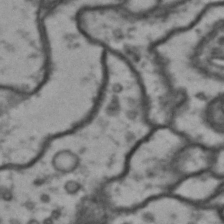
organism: Drosophila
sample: Brain